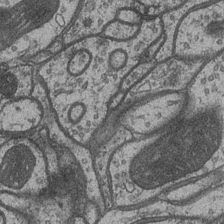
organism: Drosophila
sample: Optic medulla